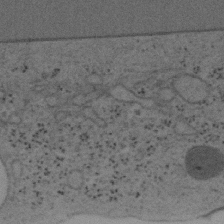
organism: Human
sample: HeLa cells